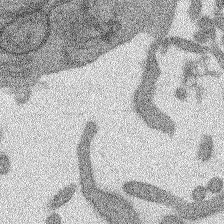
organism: Human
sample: HeLa cells